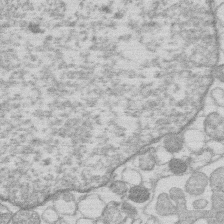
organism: Human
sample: Macrophage cells